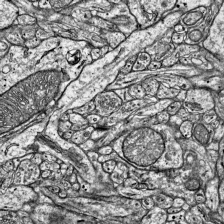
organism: Mouse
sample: Visual Cortex